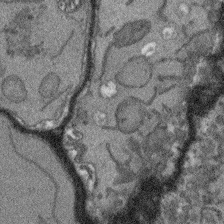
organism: Arabidopsis thaliana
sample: Root tip